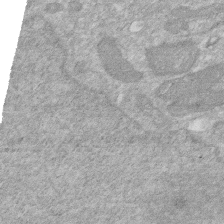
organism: Human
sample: HIV infected U937 cells